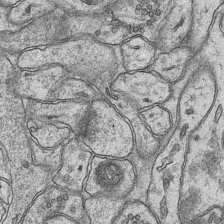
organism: Mouse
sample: CA1 Hippocampus